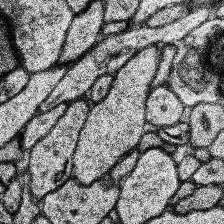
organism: Human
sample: Temporal Lobe